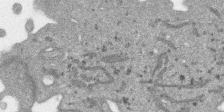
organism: Human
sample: Lung epithelial cells infected with SARS-CoV-2